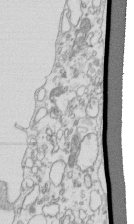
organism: Mouse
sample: Macrophages